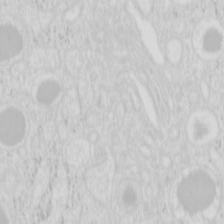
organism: Mouse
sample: Pancreas